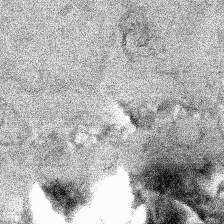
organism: Human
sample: Mitochondria in HCT116 cells